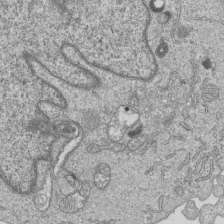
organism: Human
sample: MDA-MB-231 cells